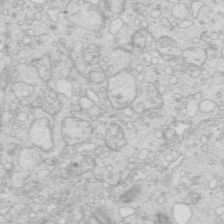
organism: Mouse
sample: Multiciliated cells